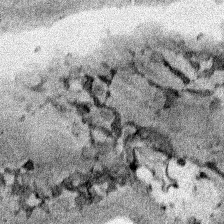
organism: Human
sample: Mitochondria in HCT116 cells